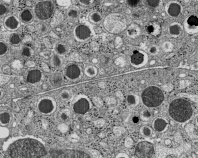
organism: C57BL Mouse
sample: Pancreatic islet